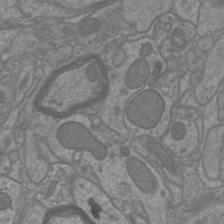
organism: Mouse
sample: Cortical neurons